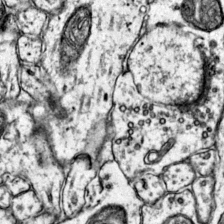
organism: Mouse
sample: Primary visual cortex